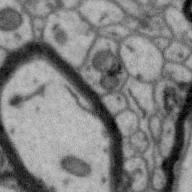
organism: Zebra finch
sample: Brain